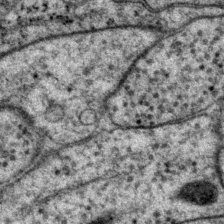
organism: P. pacificus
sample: Pharynx